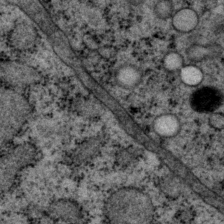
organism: P. pacificus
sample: Pharynx